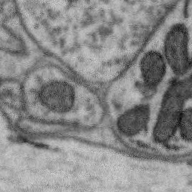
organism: Zebra finch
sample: Brain